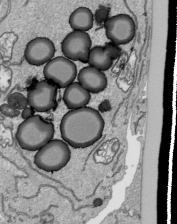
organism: Human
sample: Mitochondria in HCT116 cells